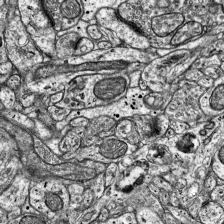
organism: Mouse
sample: Visual Cortex